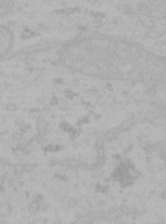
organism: Mouse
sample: Choroid plexus